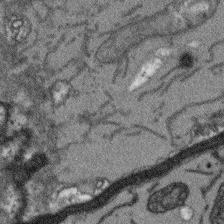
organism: Arabidopsis thaliana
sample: Root tip